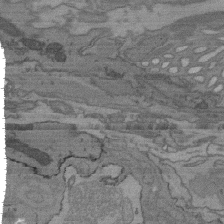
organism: C. elegans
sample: AFD neurons C. elegans